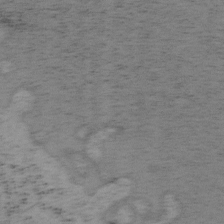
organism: Mouse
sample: OT-I killer T cells with ID8 ovarian cancer cells